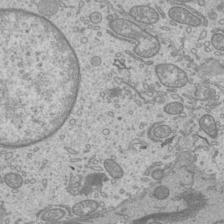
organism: Mouse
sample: Cilia; mouse epididymis